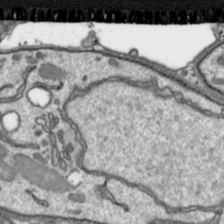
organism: Toxoplasma gondii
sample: Parasites in a vacuole inside a host cell